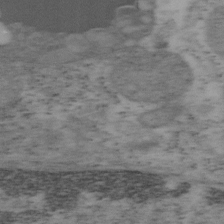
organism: Mouse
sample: OT-I killer T cells with ID8 ovarian cancer cells